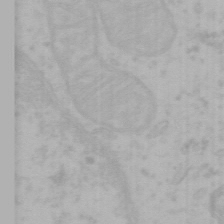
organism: Mouse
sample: Choroid plexus